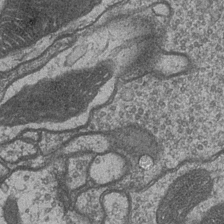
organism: Drosophila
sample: Optic medulla